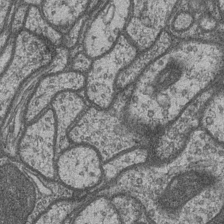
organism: Drosophila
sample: Optic medulla